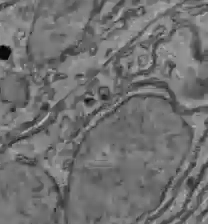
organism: C57BL Mouse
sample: Liver